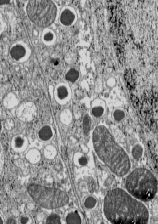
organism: C57BL Mouse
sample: Pancreatic islet